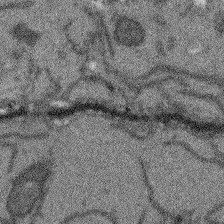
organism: Arabidopsis thaliana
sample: Root tip